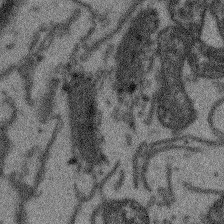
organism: Arabidopsis thaliana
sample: Root tip